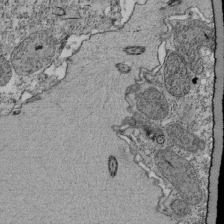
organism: Tetrahymena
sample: Cilia in tetrahymena